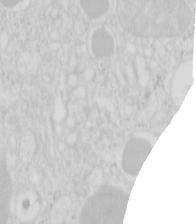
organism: Mouse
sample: Pancreas